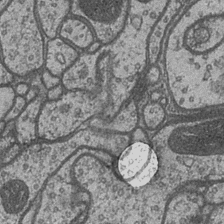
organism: Drosophila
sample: Optic medulla